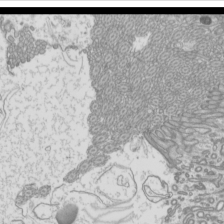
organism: Mouse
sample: Cilia; mouse epididymis